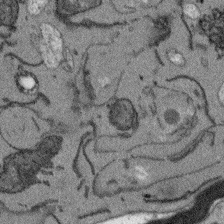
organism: Arabidopsis thaliana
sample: Root tip